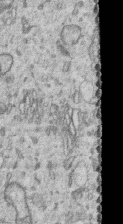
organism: Human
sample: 1205lu cells